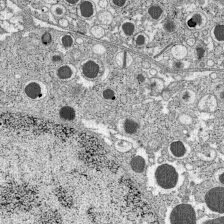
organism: C57BL Mouse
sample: Pancreatic islet